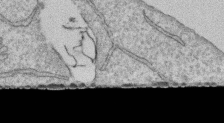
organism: Human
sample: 1205lu cells